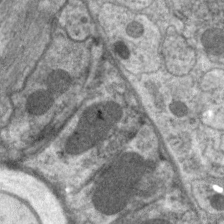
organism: C. elegans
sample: Pharynx